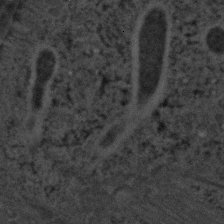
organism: C. elegans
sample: C. elegans embryo